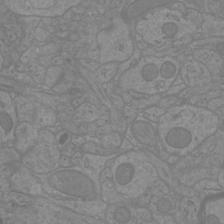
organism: Mouse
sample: Cortical neurons